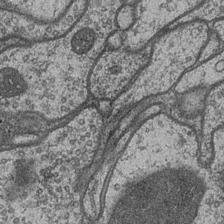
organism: Drosophila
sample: Optic medulla